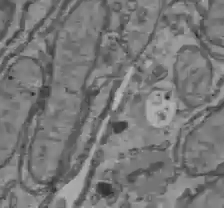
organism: C57BL Mouse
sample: Liver